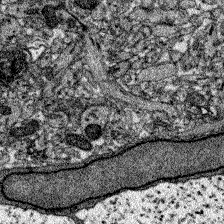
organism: Zebrafish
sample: Larval olfactory bulb